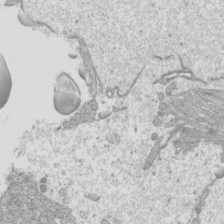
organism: Mouse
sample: Cilia; mouse epididymis